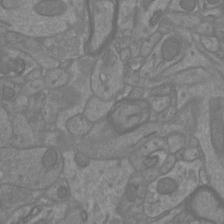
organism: Mouse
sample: Cortical neurons